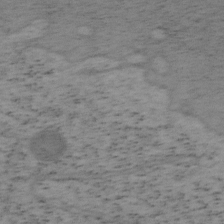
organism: Mouse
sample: OT-I killer T cells with ID8 ovarian cancer cells